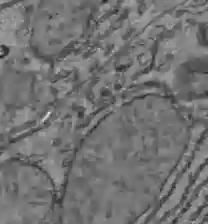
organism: C57BL Mouse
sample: Liver